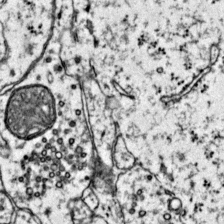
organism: Mouse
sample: Primary visual cortex